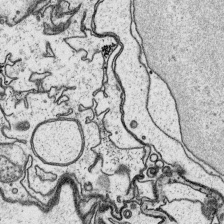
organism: Platynereis dumerilii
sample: Parapodia